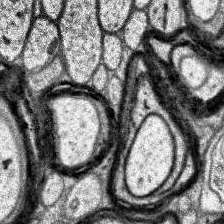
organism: Human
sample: Temporal Lobe